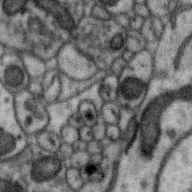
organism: Zebra finch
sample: Brain